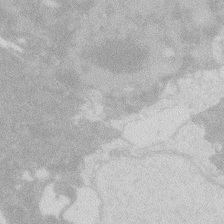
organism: Zebrafish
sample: Macrophage